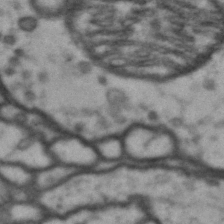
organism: Drosophila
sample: Brain